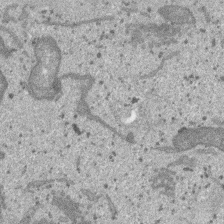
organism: Human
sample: Lung epithelial cells infected with SARS-CoV-2